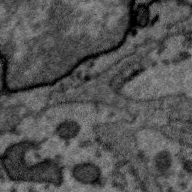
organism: Zebra finch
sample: Brain